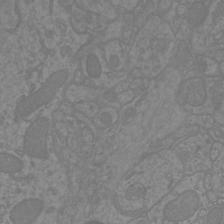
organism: Mouse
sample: Cortical neurons